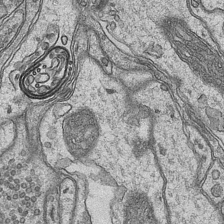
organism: Mouse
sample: CA1 Hippocampus